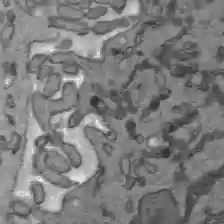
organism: C57BL Mouse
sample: Liver